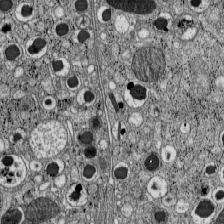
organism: C57BL Mouse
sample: Pancreatic islet